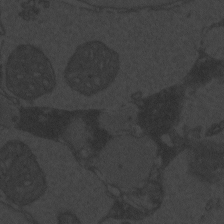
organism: Zebrafish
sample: Macrophage infected with Toxoplasma gondii